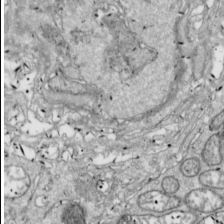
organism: Drosophila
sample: Cell division; meiosis; drosophila spermatocytes